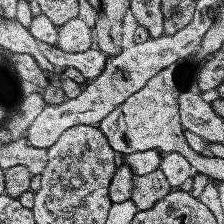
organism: Human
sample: Temporal Lobe